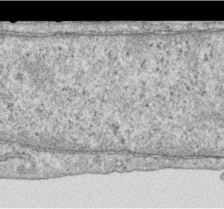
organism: Human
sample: Centriole in RPE cells